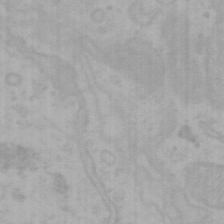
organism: Mouse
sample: Choroid plexus